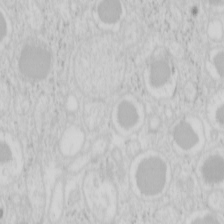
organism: Mouse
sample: Pancreas